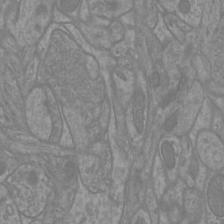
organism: Mouse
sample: Cortical neurons